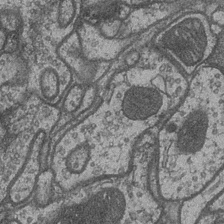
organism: Drosophila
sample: Optic medulla